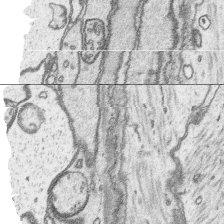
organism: Platynereis dumerilii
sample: Parapodia